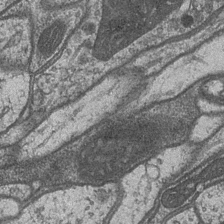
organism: Drosophila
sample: Optic medulla